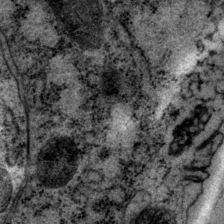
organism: P. pacificus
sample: Pharynx